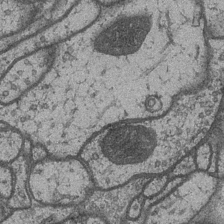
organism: Drosophila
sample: Optic medulla